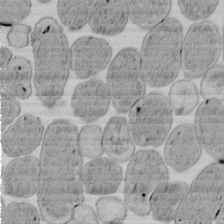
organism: E. coli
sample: Bacterial nucleoid